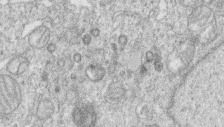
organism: Human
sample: HeLa cell HIV synapse